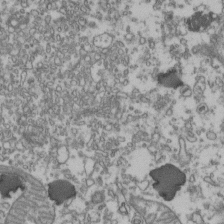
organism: Human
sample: Activated Jurkat CD4+ T cells